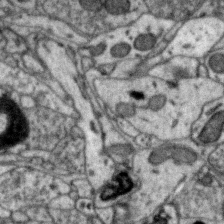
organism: Zebra finch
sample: Brain